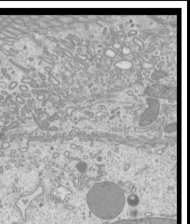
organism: Mouse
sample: Cilia; mouse epididymis